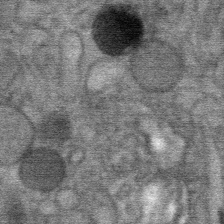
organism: Mouse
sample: Mouse Salivary gland